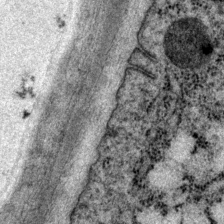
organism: P. pacificus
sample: Pharynx